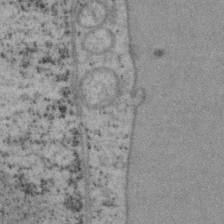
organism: Human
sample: HeLa cells